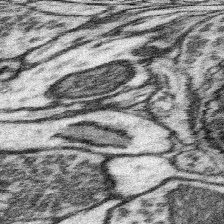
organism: Mouse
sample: Somatosensory cortex neuropil